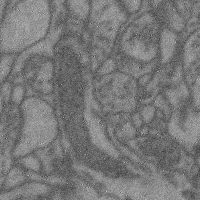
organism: Mouse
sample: Cerebral cortex